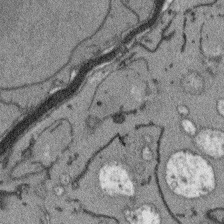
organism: Arabidopsis thaliana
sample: Root tip